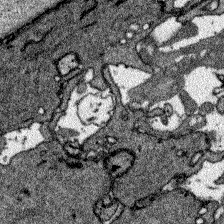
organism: Zebrafish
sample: Larval olfactory bulb